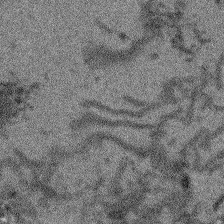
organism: Arabidopsis thaliana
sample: Root tip